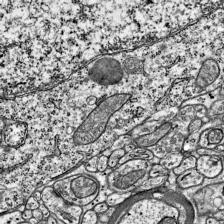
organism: Mouse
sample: Visual Cortex